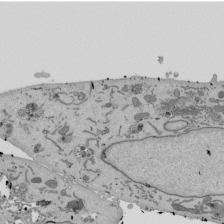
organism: Mouse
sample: ED-1 cell nuclei; centrioles